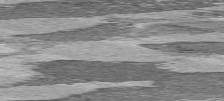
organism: C57BL Mouse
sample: Heart